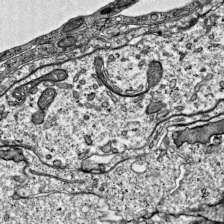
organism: Mouse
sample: Visual Cortex